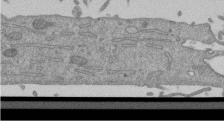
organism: Mouse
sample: ED-1 cell nuclei; centrioles